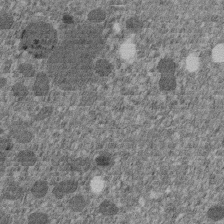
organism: C. elegans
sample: C. elegans embryo early stage